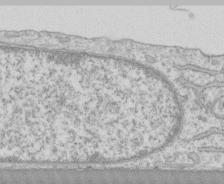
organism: Human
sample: CRL-1474